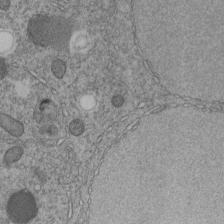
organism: C. elegans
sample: C. elegans embryo early stage